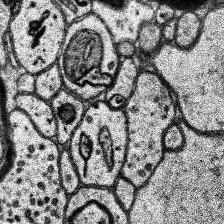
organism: Human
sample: Temporal Lobe